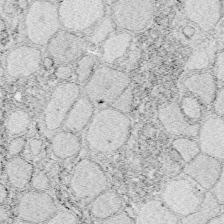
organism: Zebrafish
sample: Whole-Brain